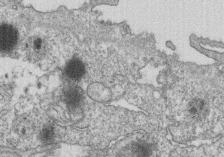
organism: Human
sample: HeLa cell HIV synapse